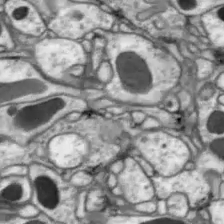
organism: Drosophila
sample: Optic lobe